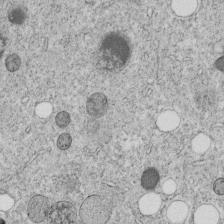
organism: C. elegans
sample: C. elegans embryo early stage